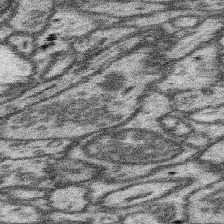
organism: Mouse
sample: Somatosensory cortex neuropil